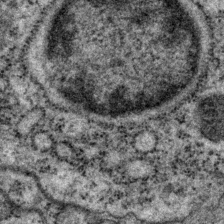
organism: P. pacificus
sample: Pharynx